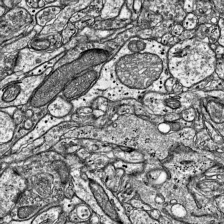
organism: Mouse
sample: Visual Cortex